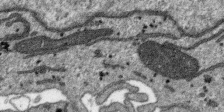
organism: Human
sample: Lung epithelial cells, uninfected (mock) control